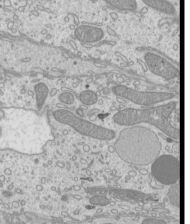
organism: Mouse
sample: Cilia; mouse epididymis